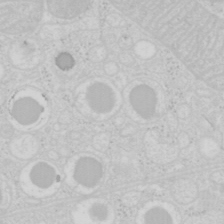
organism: Mouse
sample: Pancreas